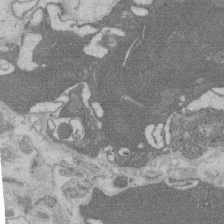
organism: Rat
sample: Salivary granule